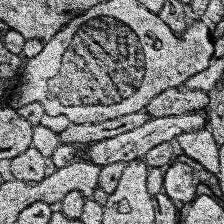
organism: Human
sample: Temporal Lobe